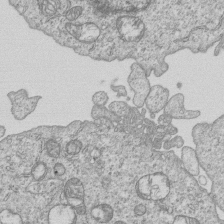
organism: Human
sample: MDA-MB-231 cells